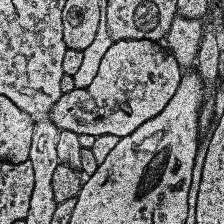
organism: Human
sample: Temporal Lobe